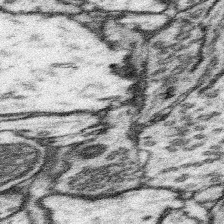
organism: Mouse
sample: Somatosensory cortex neuropil